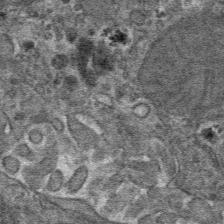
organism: Mouse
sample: Mouse hepatocytes